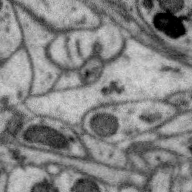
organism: Zebra finch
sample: Brain